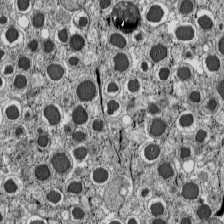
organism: C57BL Mouse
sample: Pancreatic islet